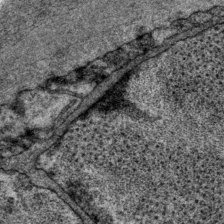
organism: P. pacificus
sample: Pharynx